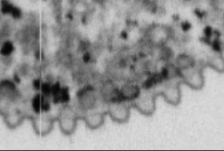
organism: Cable bacterium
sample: Filament